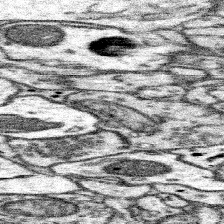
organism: Mouse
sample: Somatosensory cortex neuropil